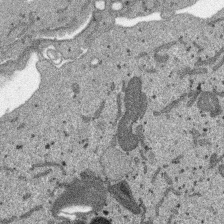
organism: Human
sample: Lung epithelial cells infected with SARS-CoV-2